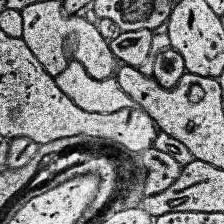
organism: Human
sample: Temporal Lobe